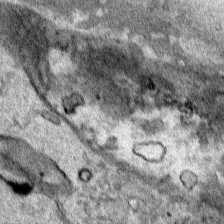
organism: Human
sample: Mitochondria in HCT116 cells